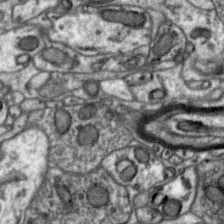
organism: Zebra finch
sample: Brain